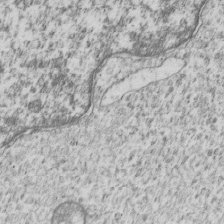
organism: Human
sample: MDA-MB-231 cells